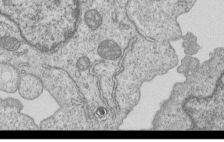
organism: Human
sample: MDA-MB-231 cells